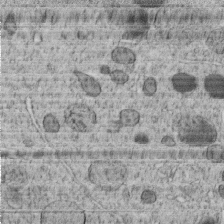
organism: C. elegans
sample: C. elegans embryo early stage